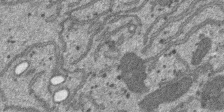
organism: Human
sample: Lung epithelial cells infected with SARS-CoV-2